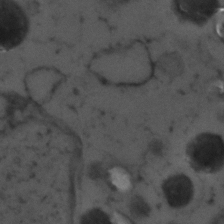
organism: Zebrafish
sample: Zebrafish embryo